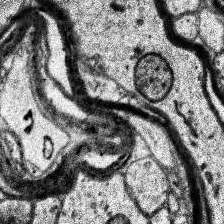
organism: Human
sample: Temporal Lobe